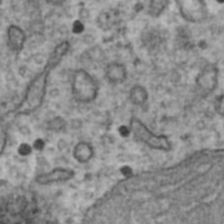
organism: Human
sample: Blood